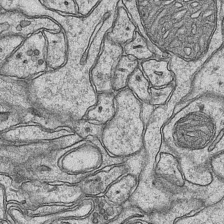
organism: Mouse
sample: CA1 Hippocampus